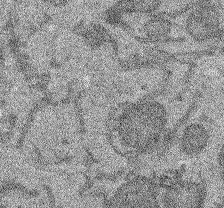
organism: Human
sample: HeLa cells